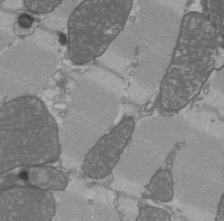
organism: C57BL Mouse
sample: Heart